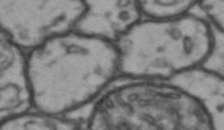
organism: Drosophila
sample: Brain